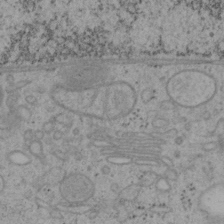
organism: Human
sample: HeLa cells